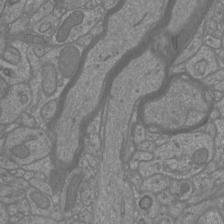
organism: Mouse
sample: Cortical neurons